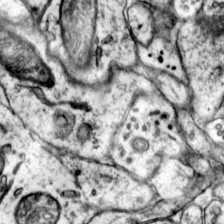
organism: Mouse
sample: Primary visual cortex